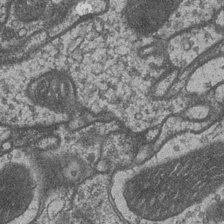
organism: Drosophila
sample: Optic medulla